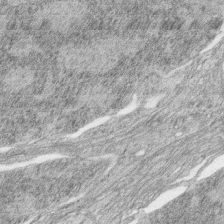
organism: Zebrafish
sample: synaptic ribbons in rod cells and cone cells